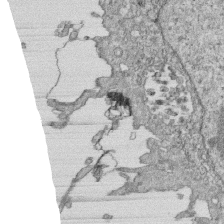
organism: Human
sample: HeLa cell HIV synapse